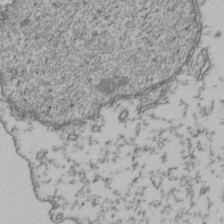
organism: Human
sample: Activated Jurkat CD4+ T cells